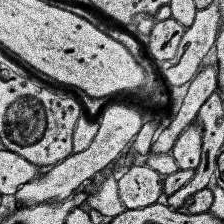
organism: Human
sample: Temporal Lobe